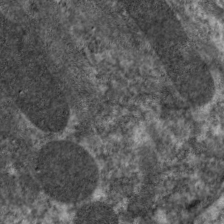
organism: C. elegans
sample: Pharynx